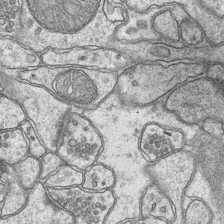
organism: Mouse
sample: CA1 Hippocampus